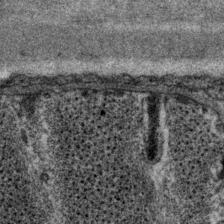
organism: P. pacificus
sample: Pharynx